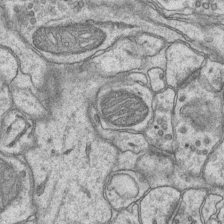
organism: Mouse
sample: CA1 Hippocampus